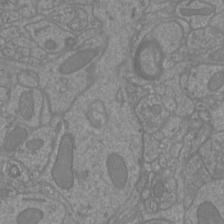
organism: Mouse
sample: Cortical neurons